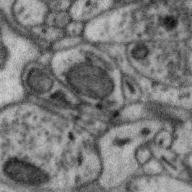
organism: Zebra finch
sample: Brain